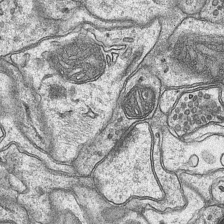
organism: Mouse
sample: CA1 Hippocampus